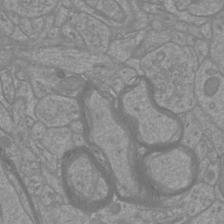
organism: Mouse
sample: Cortical neurons